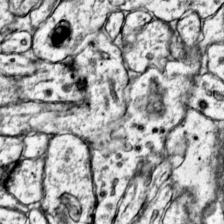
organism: Mouse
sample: Primary visual cortex